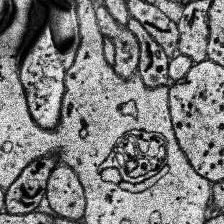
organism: Human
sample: Temporal Lobe